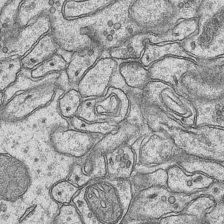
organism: Mouse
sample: CA1 Hippocampus